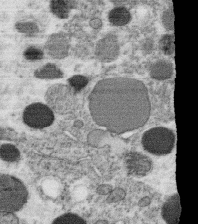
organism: C. elegans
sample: C. elegans oocyte; sperm cells